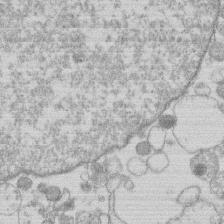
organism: Human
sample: Macrophage cells